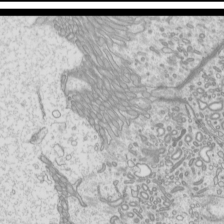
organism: Mouse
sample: Cilia; mouse epididymis